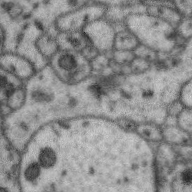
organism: Zebra finch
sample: Brain